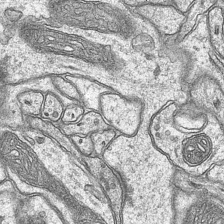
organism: Mouse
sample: CA1 Hippocampus